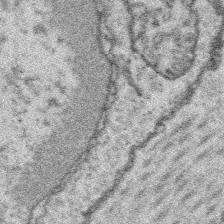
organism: Platynereis dumerilii